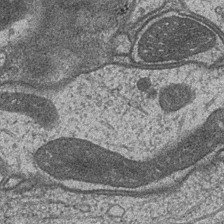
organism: Drosophila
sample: Optic medulla